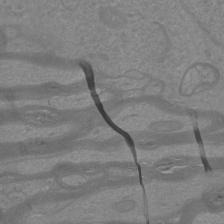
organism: Mouse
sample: Cortical neurons